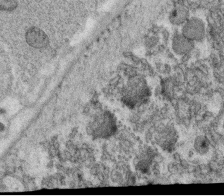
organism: C. elegans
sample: C. elegans oocyte; sperm cells